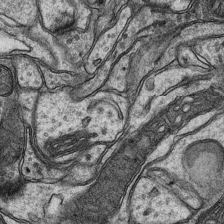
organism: Mouse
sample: CA1 Hippocampus